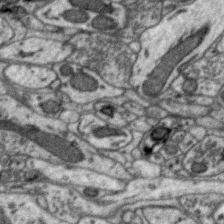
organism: Zebra finch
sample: Brain